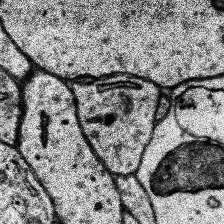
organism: Human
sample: Temporal Lobe